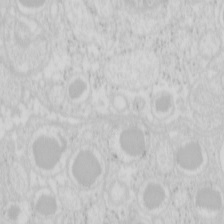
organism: Mouse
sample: Pancreas